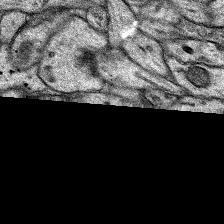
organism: Rat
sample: Hippocampus